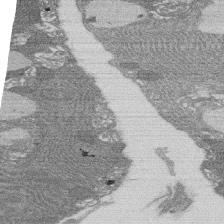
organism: Rat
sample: Salivary granule